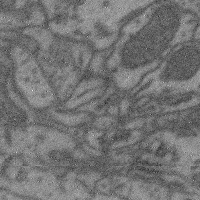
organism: Mouse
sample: Cerebral cortex